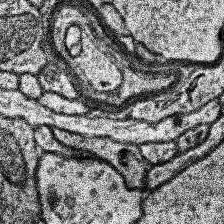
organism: Human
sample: Temporal Lobe